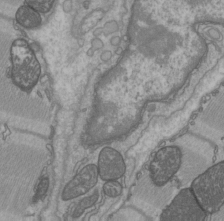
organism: C57BL Mouse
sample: Heart